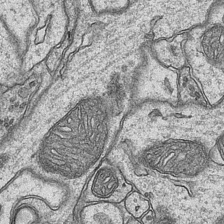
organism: Mouse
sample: CA1 Hippocampus